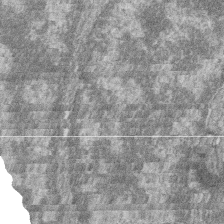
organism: Zebrafish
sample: Cilia; retinal pigment epithelium